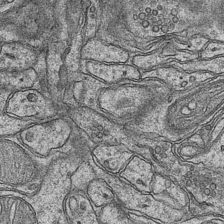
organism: Mouse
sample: CA1 Hippocampus